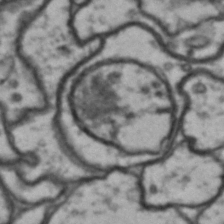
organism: Drosophila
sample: Brain